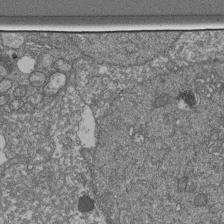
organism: Human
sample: Retinal organoid Rod and Cone cells